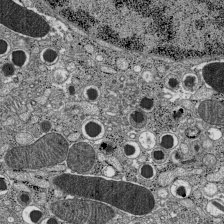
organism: C57BL Mouse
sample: Pancreatic islet